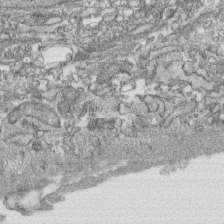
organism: Human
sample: CRL-1474